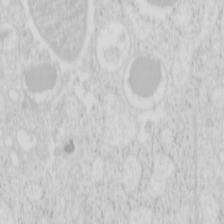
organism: Mouse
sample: Pancreas